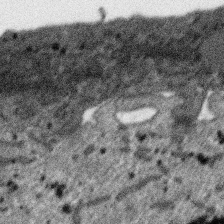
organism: Human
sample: Lung epithelial cells infected with SARS-CoV-2